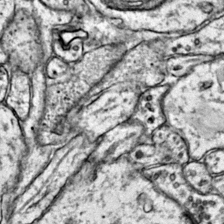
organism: Mouse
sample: Primary visual cortex